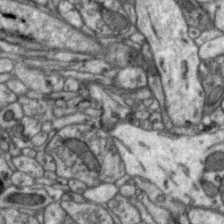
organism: Zebra finch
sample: Brain